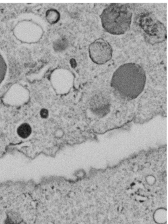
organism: C. elegans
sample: C. elegans embryo early stage